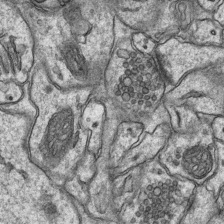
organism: Mouse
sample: CA1 Hippocampus